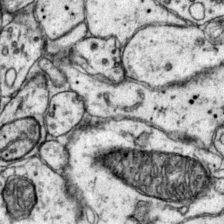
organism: Mouse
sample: Primary visual cortex